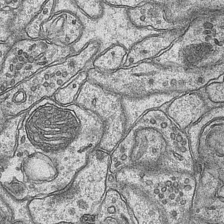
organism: Mouse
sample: CA1 Hippocampus